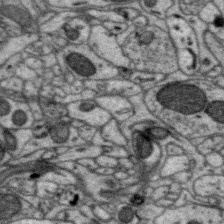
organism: Zebra finch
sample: Brain